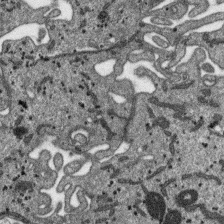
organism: Human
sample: Lung epithelial cells infected with SARS-CoV-2